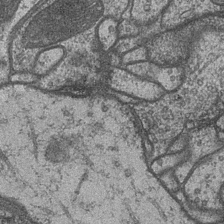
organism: Drosophila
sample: Optic medulla